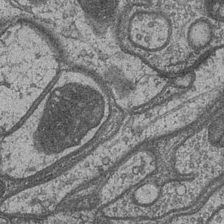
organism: Drosophila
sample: Optic medulla